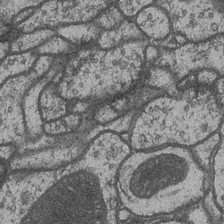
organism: Drosophila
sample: Optic medulla